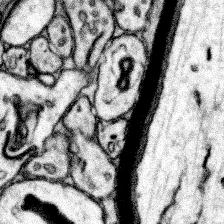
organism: Mouse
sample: Somatosensory cortex neuropil